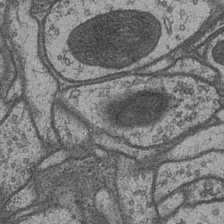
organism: Drosophila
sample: Optic medulla